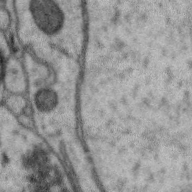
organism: Zebra finch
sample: Brain